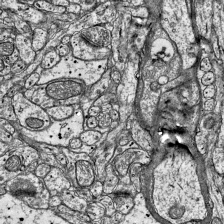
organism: Mouse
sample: Visual Cortex